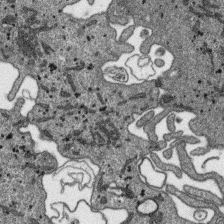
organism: Human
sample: Lung epithelial cells infected with SARS-CoV-2